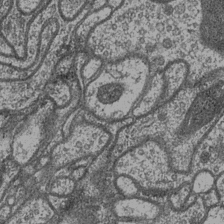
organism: Drosophila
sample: Optic medulla